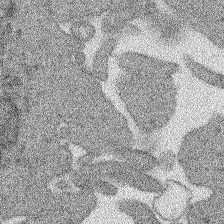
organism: Human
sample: HeLa cells